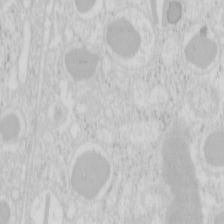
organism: Mouse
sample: Pancreas